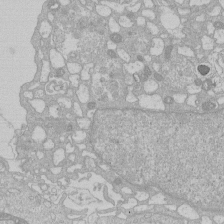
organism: Human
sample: Macrophage cells